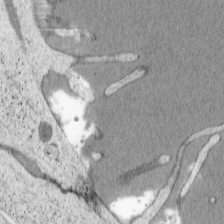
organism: African green monkey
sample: COS-7 cells